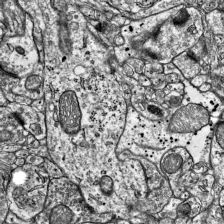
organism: Mouse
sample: Visual Cortex